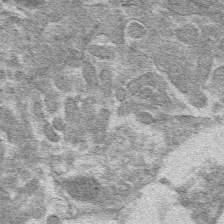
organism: Mouse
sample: Mouse hepatocytes